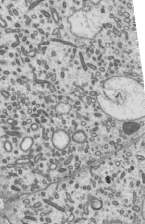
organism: Mouse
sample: Mouse epididymis efferent ductule cilia